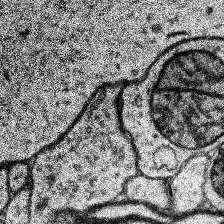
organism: Human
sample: Temporal Lobe